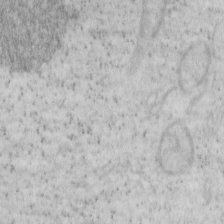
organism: Human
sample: HeLa cells